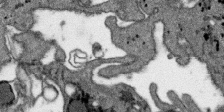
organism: Human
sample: Lung epithelial cells, uninfected (mock) control